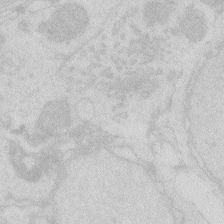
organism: Zebrafish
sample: Macrophage